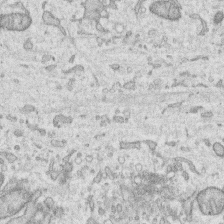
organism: Human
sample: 1205lu cells